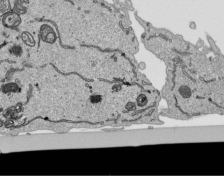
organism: Human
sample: Mitochondria in HCT116 cells